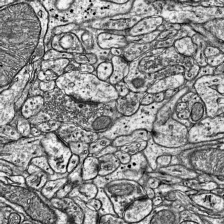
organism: Mouse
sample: Visual Cortex